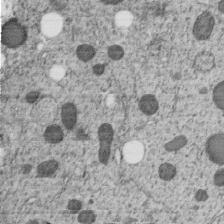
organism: C. elegans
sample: C. elegans embryo early stage